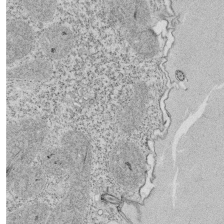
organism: Tetrahymena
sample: Cilia in tetrahymena